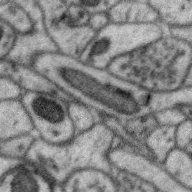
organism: Zebra finch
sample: Brain